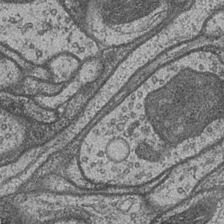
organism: Drosophila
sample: Optic medulla